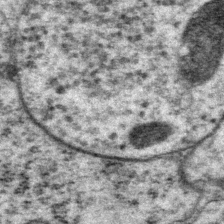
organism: P. pacificus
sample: Pharynx